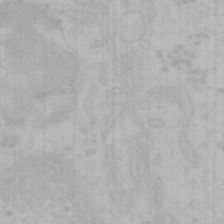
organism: Mouse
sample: Choroid plexus